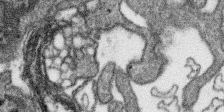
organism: Human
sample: Lung epithelial cells infected with SARS-CoV-2